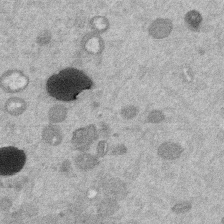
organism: Mouse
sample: Dividing mouse embryo 1 cell stage